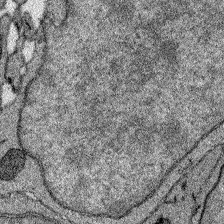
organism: Zebrafish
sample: Larval olfactory bulb